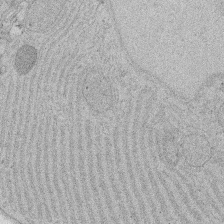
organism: Rat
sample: Salivary granule